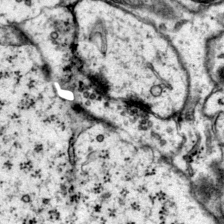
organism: Mouse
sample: Primary visual cortex